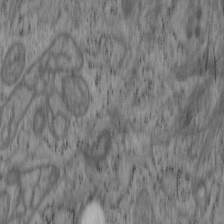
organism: Human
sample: HeLa cells